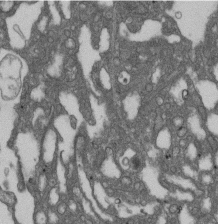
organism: Drosophila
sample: Nephrocyte